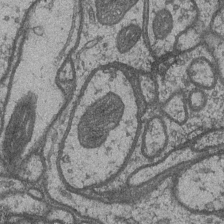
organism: Drosophila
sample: Optic medulla